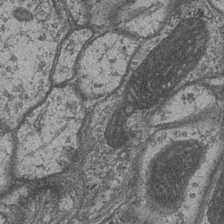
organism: Drosophila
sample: Optic medulla